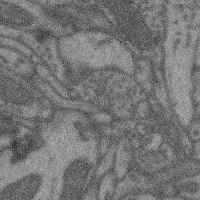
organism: Mouse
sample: Cerebral cortex